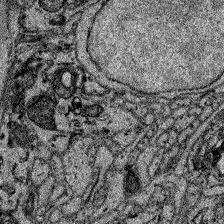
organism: Zebrafish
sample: Larval olfactory bulb